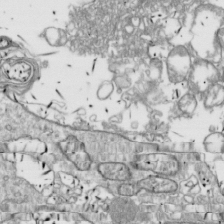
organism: Drosophila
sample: Cell division; meiosis; drosophila spermatocytes